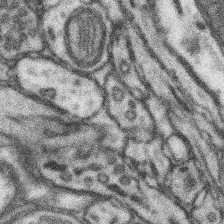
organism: Mouse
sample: Somatosensory cortex neuropil